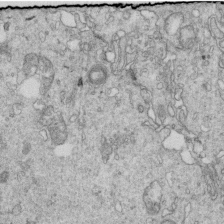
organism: Mouse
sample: Multiciliated cells